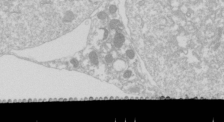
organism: Drosophila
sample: Cell division; meiosis; drosophila spermatocytes